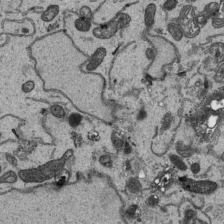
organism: Human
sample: Mitochondria in HCT116 cells